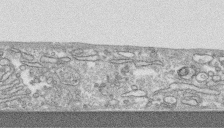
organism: Human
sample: CRL-1474